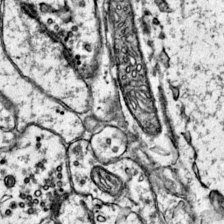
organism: Mouse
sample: Primary visual cortex